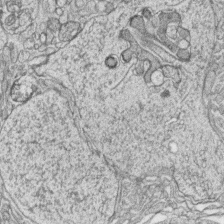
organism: Zebrafish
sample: synaptic ribbons in rod cells and cone cells